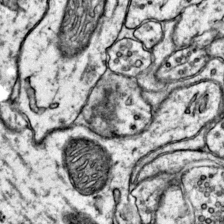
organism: Mouse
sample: Primary visual cortex